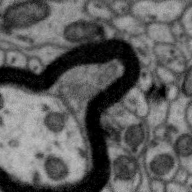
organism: Zebra finch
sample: Brain